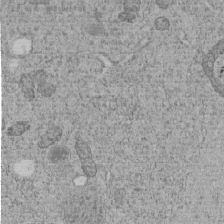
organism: C. elegans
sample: C. elegans embryo early stage